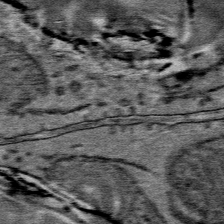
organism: Mouse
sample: Mouse Salivary gland